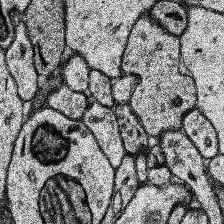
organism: Human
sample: Temporal Lobe